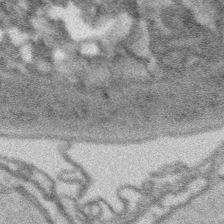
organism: Platynereis dumerilii